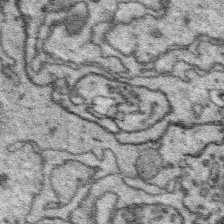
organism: Platynereis dumerilii